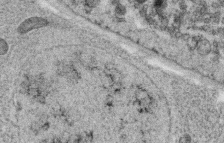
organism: C. elegans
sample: C. elegans oocyte; sperm cells